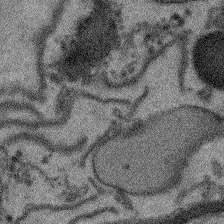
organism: Arabidopsis thaliana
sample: Root tip